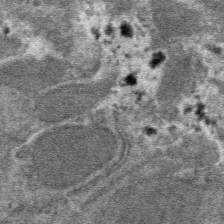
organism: Mouse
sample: Mouse hepatocytes